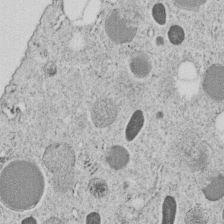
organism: C. elegans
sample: C. elegans embryo early stage